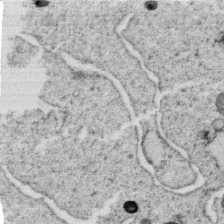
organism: C. elegans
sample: C. elegans oocyte; sperm cells